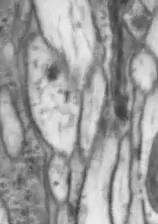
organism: Drosophila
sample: Optic lobe